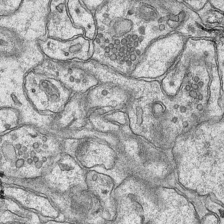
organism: Mouse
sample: CA1 Hippocampus